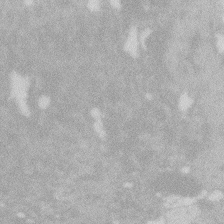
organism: Zebrafish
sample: Macrophage